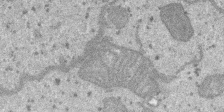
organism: Human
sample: Lung epithelial cells infected with SARS-CoV-2